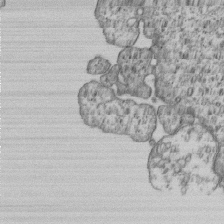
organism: Human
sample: MDA-MB-231 cells